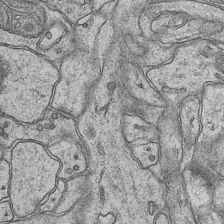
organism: Mouse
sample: CA1 Hippocampus